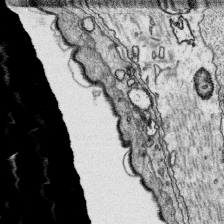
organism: Platynereis dumerilii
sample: Parapodia